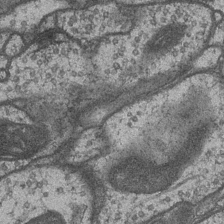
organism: Drosophila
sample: Optic medulla